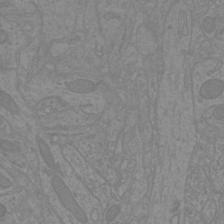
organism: Mouse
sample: Cortical neurons